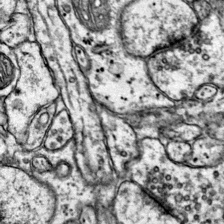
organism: Mouse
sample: Primary visual cortex